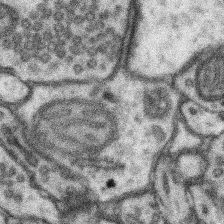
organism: Mouse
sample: Somatosensory cortex neuropil